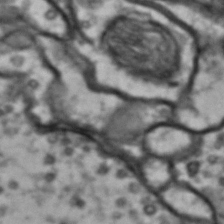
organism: Drosophila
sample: Brain